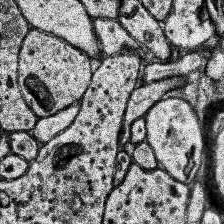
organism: Human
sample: Temporal Lobe